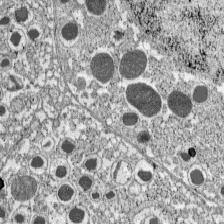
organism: C57BL Mouse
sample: Pancreatic islet